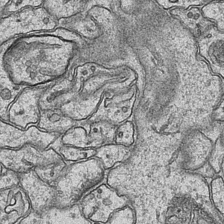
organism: Mouse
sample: CA1 Hippocampus